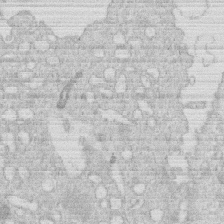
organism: Human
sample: Macrophage cells